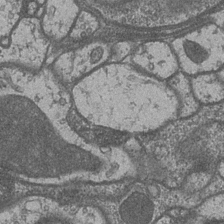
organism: Drosophila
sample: Optic medulla